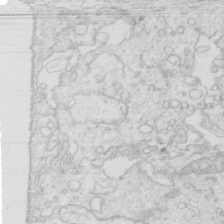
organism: Mouse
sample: Multiciliated cells